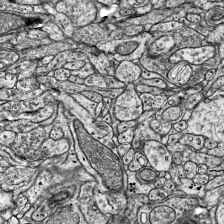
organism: Mouse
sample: Visual Cortex